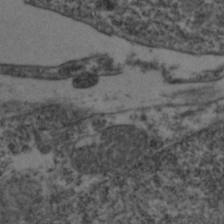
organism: Zebrafish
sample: Zebrafish embryo